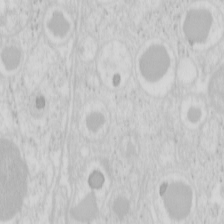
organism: Mouse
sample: Pancreas